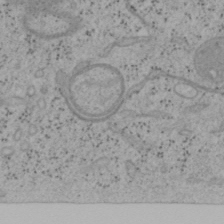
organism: Human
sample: HeLa cells